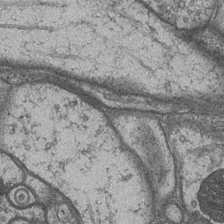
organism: Drosophila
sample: Optic medulla